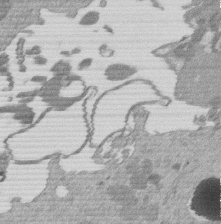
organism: Mouse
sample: Dividing mouse embryo 1 cell stage